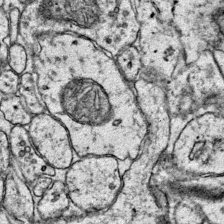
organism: Mouse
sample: Primary visual cortex